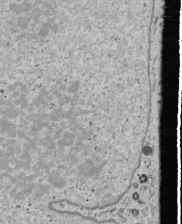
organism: Human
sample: Mitochondria in U2OS cells